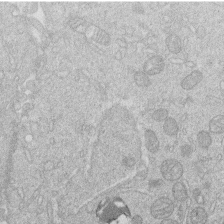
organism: Human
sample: Macrophage cells